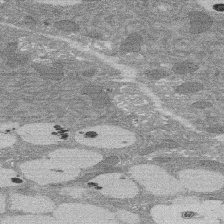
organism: Rat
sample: Salivary granule